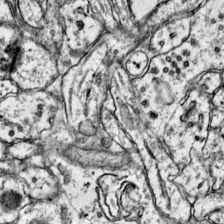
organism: Mouse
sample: Primary visual cortex